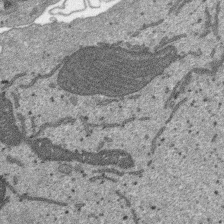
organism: Human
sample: Lung epithelial cells infected with SARS-CoV-2